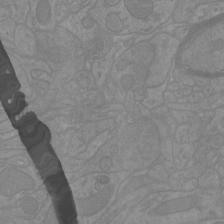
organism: Mouse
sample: Cortical neurons